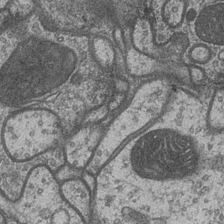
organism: Drosophila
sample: Optic medulla